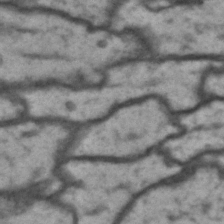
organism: Drosophila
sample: Brain